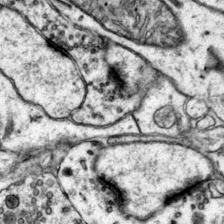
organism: Mouse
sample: Primary visual cortex